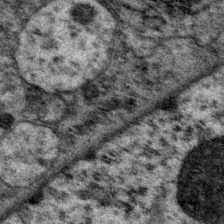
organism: P. pacificus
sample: Pharynx